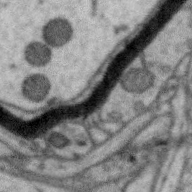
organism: Zebra finch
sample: Brain